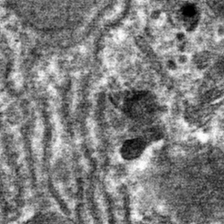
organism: Mouse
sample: Mouse hepatocytes